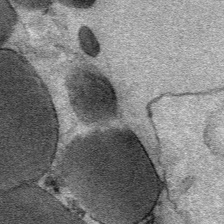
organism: Mouse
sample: Mouse Salivary gland